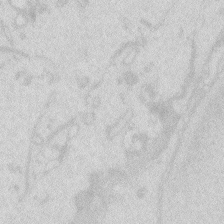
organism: Zebrafish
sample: Macrophage